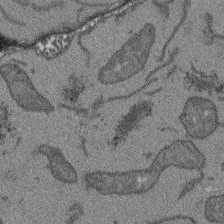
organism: Arabidopsis thaliana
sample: Root tip